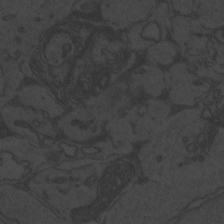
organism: Zebrafish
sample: Macrophage infected with Toxoplasma gondii